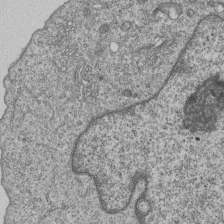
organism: Human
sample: MDA-MB-231 cells